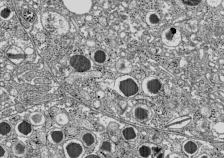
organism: C57BL Mouse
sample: Pancreatic islet